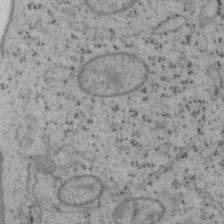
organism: Human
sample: HeLa cells